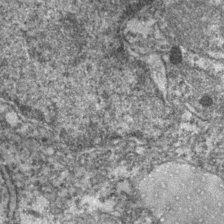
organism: Zebrafish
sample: Zebrafish embryo